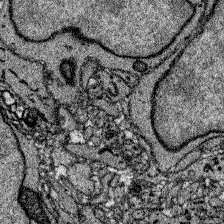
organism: Zebrafish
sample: Larval olfactory bulb